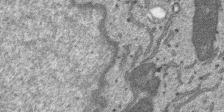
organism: Human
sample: Lung epithelial cells infected with SARS-CoV-2